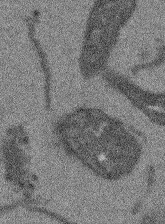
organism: Arabidopsis thaliana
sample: Root tip